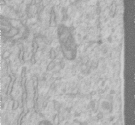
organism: Human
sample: Centriole in RPE cells